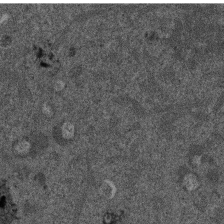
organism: Mouse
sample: Dividing mouse embryo 1 cell stage